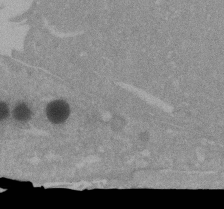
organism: Mouse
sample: ED-1 cell nuclei; centrioles